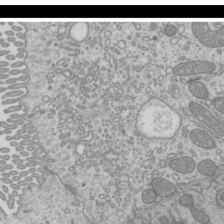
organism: Mouse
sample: Cilia; mouse epididymis